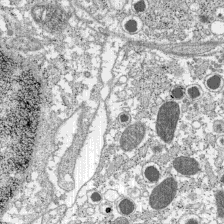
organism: C57BL Mouse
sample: Pancreatic islet